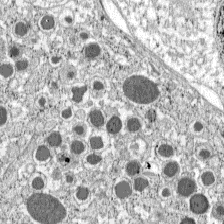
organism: C57BL Mouse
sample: Pancreatic islet